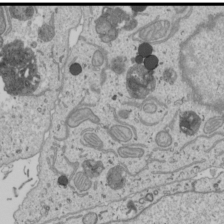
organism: Human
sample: Mitochondria in U2OS cells